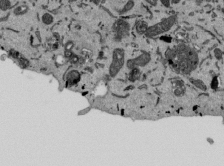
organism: Mouse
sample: ED-1 cell nuclei; centrioles